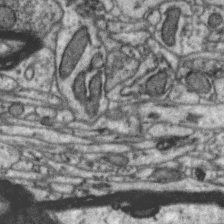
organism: Zebra finch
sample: Brain